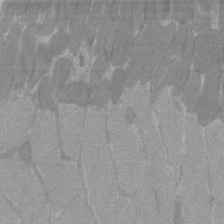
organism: C57BL Mouse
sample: Tibialis anterior muscle cell